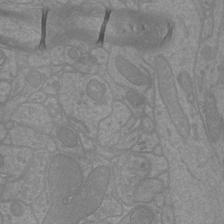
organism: Mouse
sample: Cortical neurons